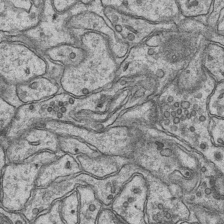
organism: Mouse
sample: CA1 Hippocampus